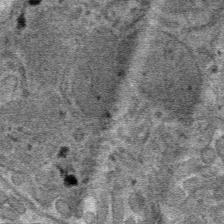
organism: Mouse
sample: Mouse hepatocytes